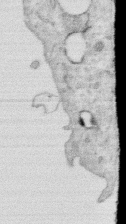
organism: Human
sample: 1205lu cells